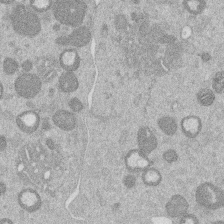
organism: Mouse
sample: Dividing mouse embryo 1 cell stage